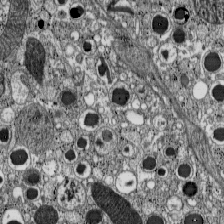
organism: C57BL Mouse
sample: Pancreatic islet